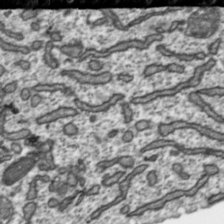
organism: Toxoplasma gondii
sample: Parasites in a vacuole inside a host cell